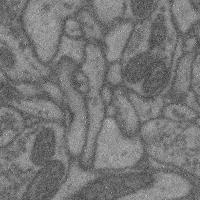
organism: Mouse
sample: Cerebral cortex